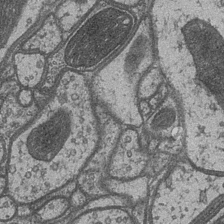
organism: Drosophila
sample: Optic medulla